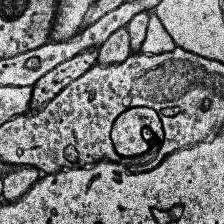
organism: Human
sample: Temporal Lobe